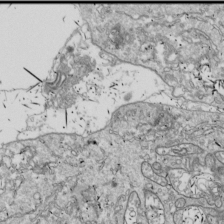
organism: Drosophila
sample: Cell division; meiosis; drosophila spermatocytes